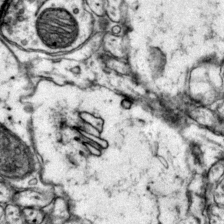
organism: Mouse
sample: Primary visual cortex